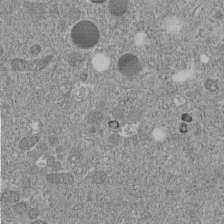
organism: C. elegans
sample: C. elegans embryo early stage